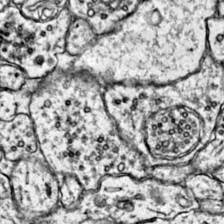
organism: Mouse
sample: Primary visual cortex